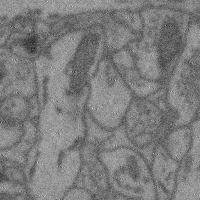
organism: Mouse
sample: Cerebral cortex